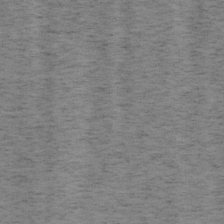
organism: Mouse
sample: OT-I killer T cells with ID8 ovarian cancer cells